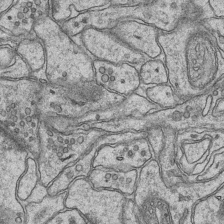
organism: Mouse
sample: CA1 Hippocampus